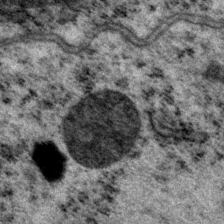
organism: P. pacificus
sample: Pharynx